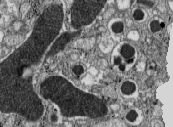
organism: C57BL Mouse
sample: Pancreatic islet